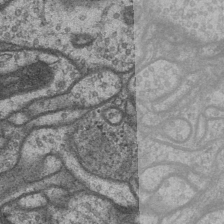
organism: Drosophila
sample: Optic medulla